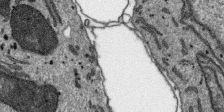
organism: Human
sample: Lung epithelial cells, uninfected (mock) control